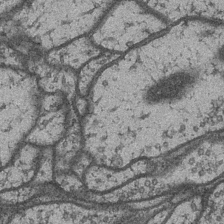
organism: Drosophila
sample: Optic medulla